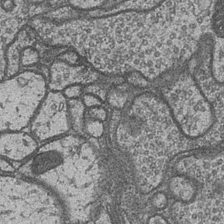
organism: Drosophila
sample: Optic medulla